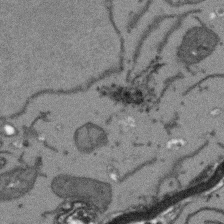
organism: Arabidopsis thaliana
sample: Root tip